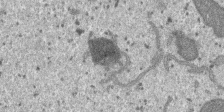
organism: Human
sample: Lung epithelial cells infected with SARS-CoV-2